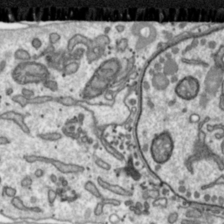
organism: Toxoplasma gondii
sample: Parasites in a vacuole inside a host cell